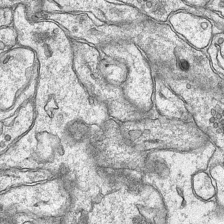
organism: Mouse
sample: CA1 Hippocampus